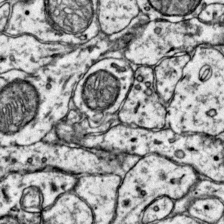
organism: Mouse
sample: Primary visual cortex